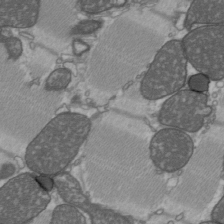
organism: C57BL Mouse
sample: Heart